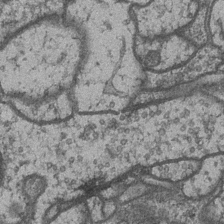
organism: Drosophila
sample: Optic medulla